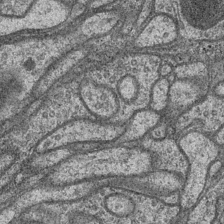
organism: Drosophila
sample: Optic medulla